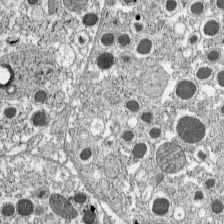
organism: C57BL Mouse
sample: Pancreatic islet